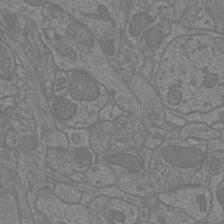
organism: Mouse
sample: Cortical neurons